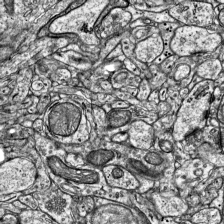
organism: Mouse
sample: Visual Cortex